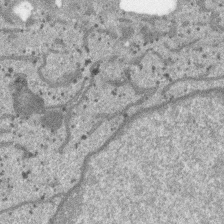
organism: Human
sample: Lung epithelial cells infected with SARS-CoV-2